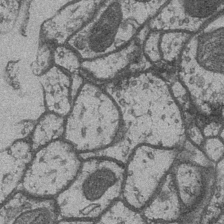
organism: Drosophila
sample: Optic medulla